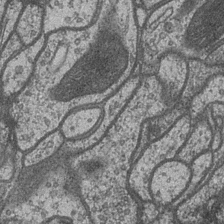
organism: Drosophila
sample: Optic medulla